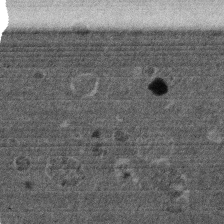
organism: Mouse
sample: Dividing mouse embryo 1 cell stage